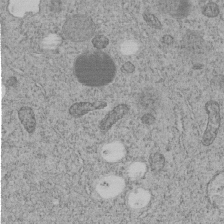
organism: C. elegans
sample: C. elegans embryo early stage